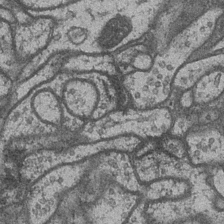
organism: Drosophila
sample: Optic medulla